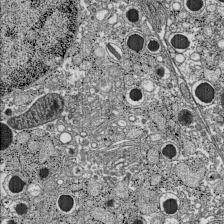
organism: C57BL Mouse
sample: Pancreatic islet